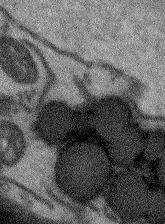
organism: Arabidopsis thaliana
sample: Root tip